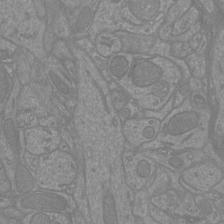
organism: Mouse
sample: Cortical neurons